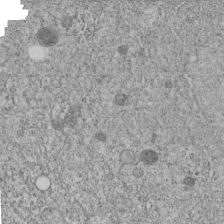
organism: C. elegans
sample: C. elegans embryo early stage